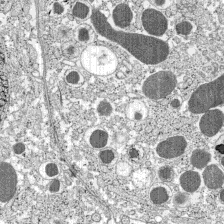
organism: C57BL Mouse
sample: Pancreatic islet